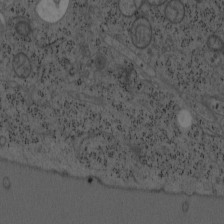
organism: Mouse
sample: OT-I killer T cells with ID8 ovarian cancer cells